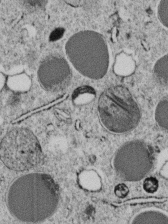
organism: C. elegans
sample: C. elegans embryo early stage